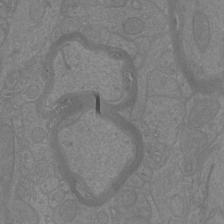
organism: Mouse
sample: Cortical neurons